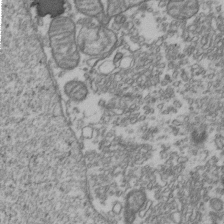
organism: Human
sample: Activated Jurkat CD4+ T cells